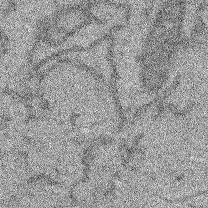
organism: Human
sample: HeLa cells